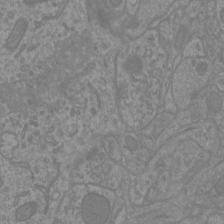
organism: Mouse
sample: Cortical neurons